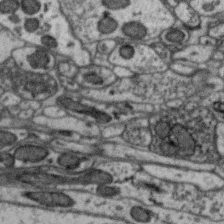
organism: Zebra finch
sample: Brain